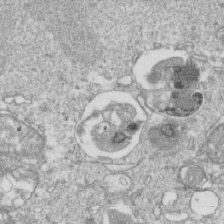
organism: Mouse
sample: Activated OT-1 CD8+ T cells